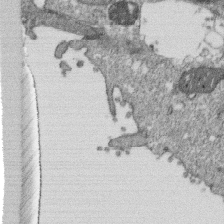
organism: African green monkey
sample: Vero E6 cells infected with SARS-CoV-2